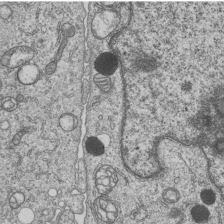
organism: Human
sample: MDA-MB-231 cells